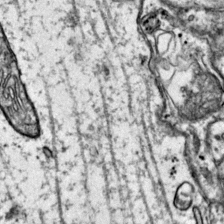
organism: Mouse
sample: Primary visual cortex